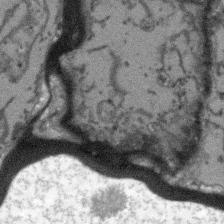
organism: Arabidopsis thaliana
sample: Root tip